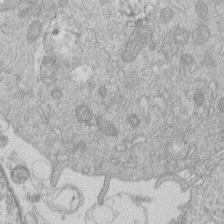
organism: Human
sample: Macrophage cells